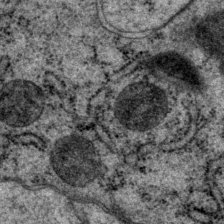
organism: P. pacificus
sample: Pharynx